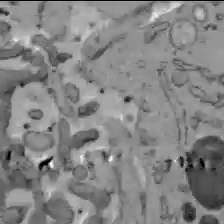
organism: C57BL Mouse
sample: Liver